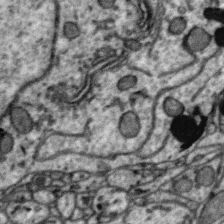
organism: Zebra finch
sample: Brain